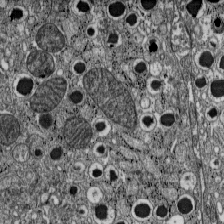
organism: C57BL Mouse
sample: Pancreatic islet